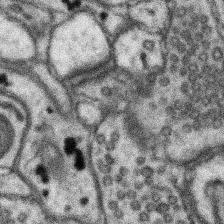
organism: Mouse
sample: Somatosensory cortex neuropil